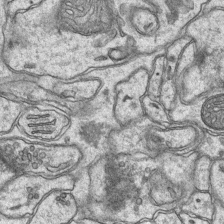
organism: Mouse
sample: CA1 Hippocampus